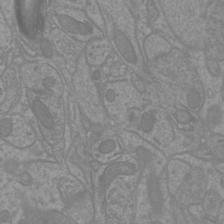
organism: Mouse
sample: Cortical neurons